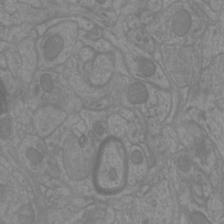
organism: Mouse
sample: Cortical neurons